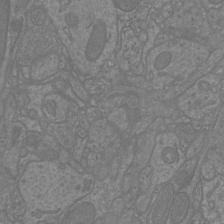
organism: Mouse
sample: Cortical neurons